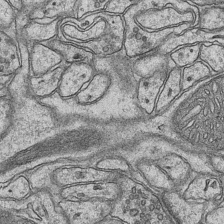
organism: Mouse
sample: CA1 Hippocampus